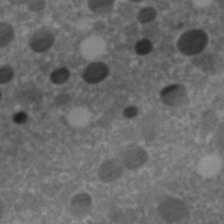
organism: C. elegans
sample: C. elegans embryo